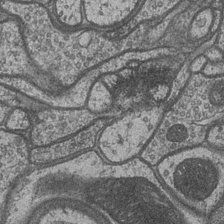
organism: Drosophila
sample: Optic medulla